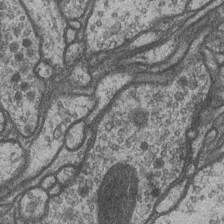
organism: Drosophila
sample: Optic medulla